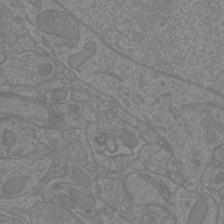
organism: Mouse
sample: Cortical neurons